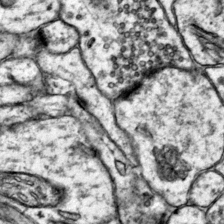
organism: Mouse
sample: Primary visual cortex